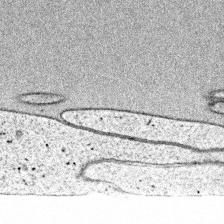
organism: Human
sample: HeLa cells